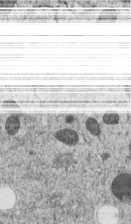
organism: C. elegans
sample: C. elegans embryo early stage